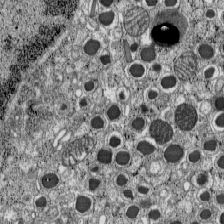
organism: C57BL Mouse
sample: Pancreatic islet